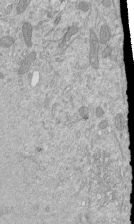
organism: Mouse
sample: ED-1 cell nuclei; centrioles